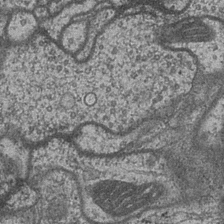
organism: Drosophila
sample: Optic medulla